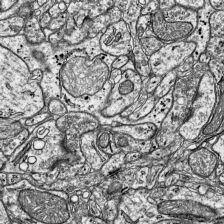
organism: Mouse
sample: Visual Cortex